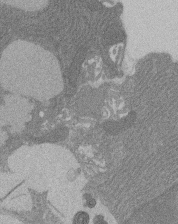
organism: Rat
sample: Salivary granule